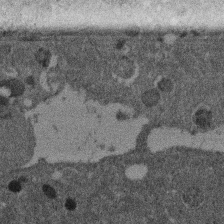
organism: Mouse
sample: Dividing mouse embryo 1 cell stage